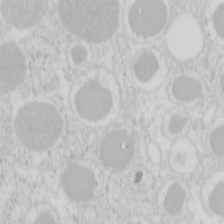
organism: Mouse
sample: Pancreas